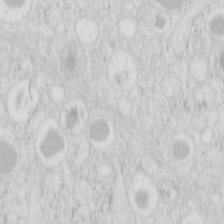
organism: Mouse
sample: Pancreas